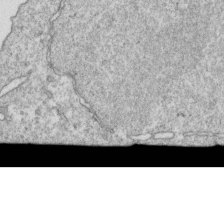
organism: Mouse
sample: Activated OT-1 CD8+ T cells